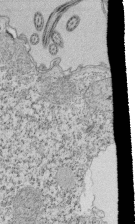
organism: Tetrahymena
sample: Cilia in tetrahymena